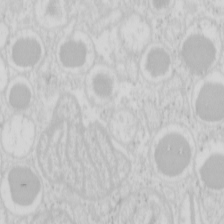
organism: Mouse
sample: Pancreas